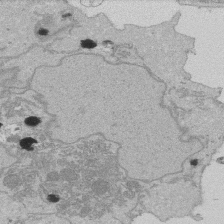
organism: Human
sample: Activated Jurkat CD4+ T cells